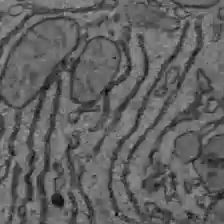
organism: C57BL Mouse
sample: Liver